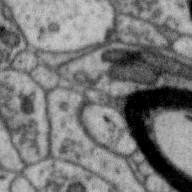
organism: Zebra finch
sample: Brain